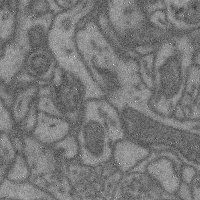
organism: Mouse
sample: Cerebral cortex